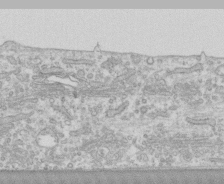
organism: Human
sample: CRL-1474